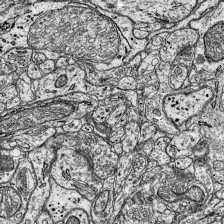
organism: Mouse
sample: Visual Cortex